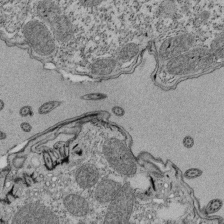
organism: Tetrahymena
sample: Cilia in tetrahymena